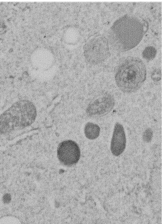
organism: C. elegans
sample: C. elegans embryo early stage